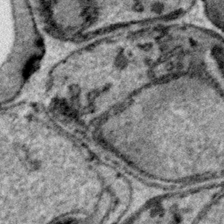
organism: Plasmodium falciparum